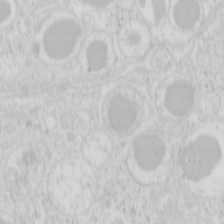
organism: Mouse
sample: Pancreas